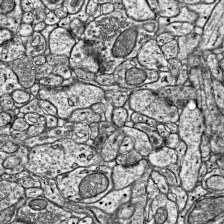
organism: Mouse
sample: Visual Cortex